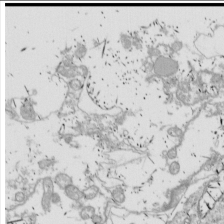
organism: Drosophila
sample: Cell division; meiosis; drosophila spermatocytes